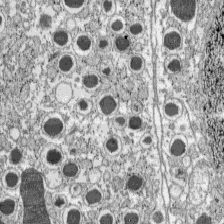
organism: C57BL Mouse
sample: Pancreatic islet